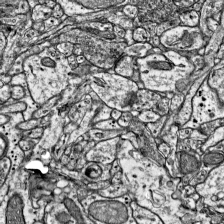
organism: Mouse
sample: Visual Cortex